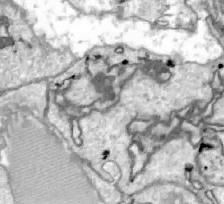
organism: Zebrafish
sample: Actinotrichia fibers